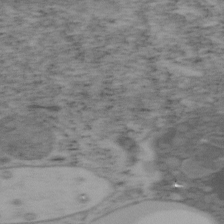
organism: Mouse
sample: OT-I killer T cells with ID8 ovarian cancer cells